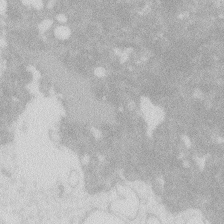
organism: Zebrafish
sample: Macrophage